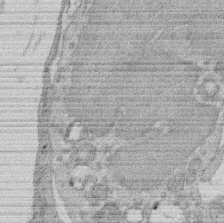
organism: Rat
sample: Salivary granule